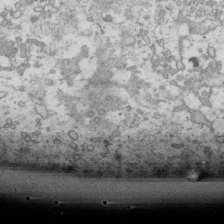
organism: Human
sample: Activated Jurkat CD4+ T cells